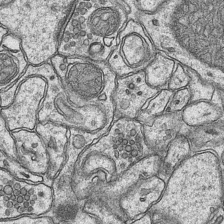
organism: Mouse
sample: CA1 Hippocampus